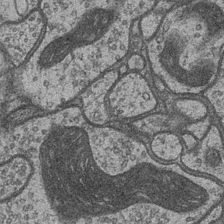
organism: Drosophila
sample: Optic medulla